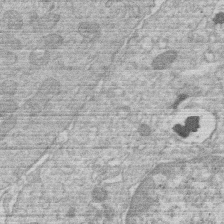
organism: Human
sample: Macrophage cells